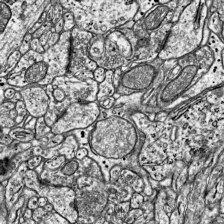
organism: Mouse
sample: Visual Cortex